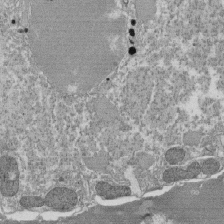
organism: Tetrahymena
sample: Cilia in tetrahymena